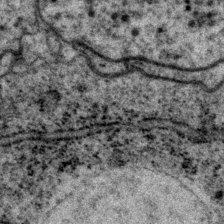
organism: P. pacificus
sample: Pharynx